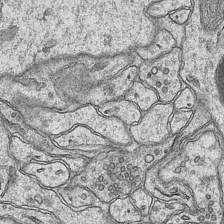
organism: Mouse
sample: CA1 Hippocampus